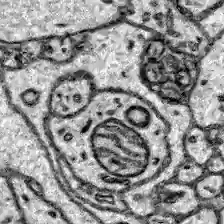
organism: Zebrafish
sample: Brain